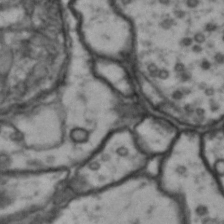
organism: Drosophila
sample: Brain